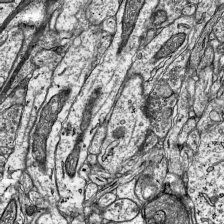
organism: Mouse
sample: Visual Cortex